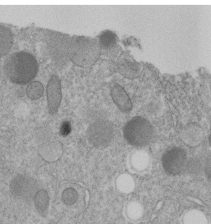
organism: C. elegans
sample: C. elegans embryo early stage